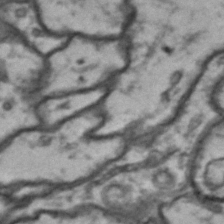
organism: Drosophila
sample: Brain